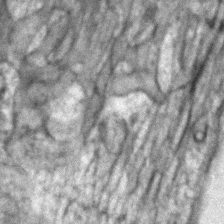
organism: Zebrafish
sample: Zebrafish embryo